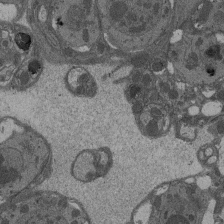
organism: Drosophila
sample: Antenna